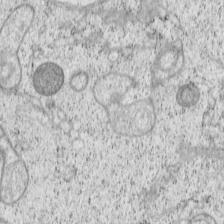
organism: African green monkey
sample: COS-7 cells